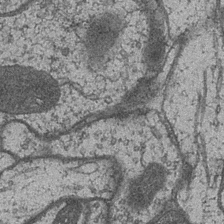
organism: Drosophila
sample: Optic medulla